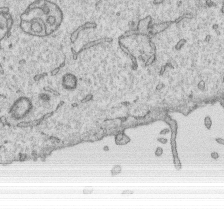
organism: Human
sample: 1205lu cells